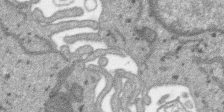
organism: Human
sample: Lung epithelial cells infected with SARS-CoV-2